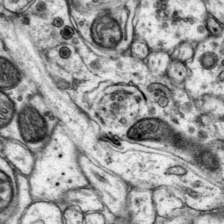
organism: Mouse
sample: Primary visual cortex